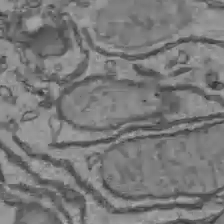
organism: C57BL Mouse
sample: Liver